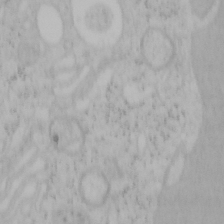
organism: Mouse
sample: OT-I killer T cells with ID8 ovarian cancer cells